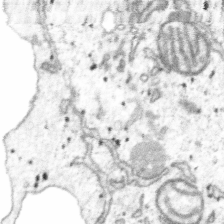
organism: Human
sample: HeLa cells